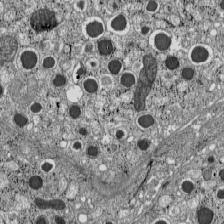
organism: C57BL Mouse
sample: Pancreatic islet